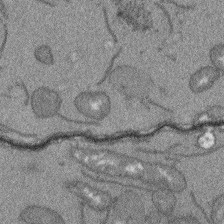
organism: Arabidopsis thaliana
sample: Root tip